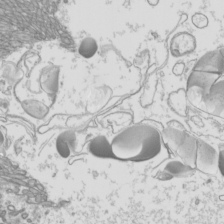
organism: Mouse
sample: Cilia; mouse epididymis